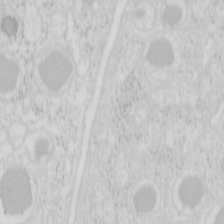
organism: Mouse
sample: Pancreas